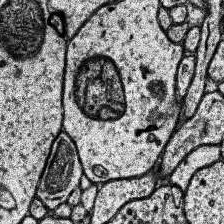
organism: Human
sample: Temporal Lobe